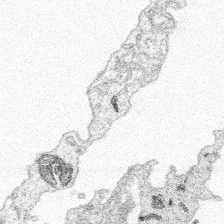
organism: Spongilla lacustris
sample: Multiple